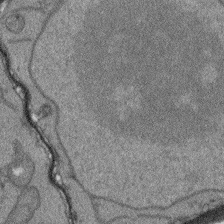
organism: Arabidopsis thaliana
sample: Root tip